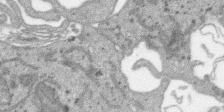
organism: Human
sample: Lung epithelial cells infected with SARS-CoV-2